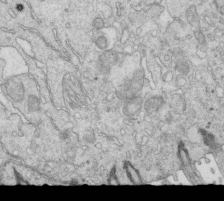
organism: Mouse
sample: Multiciliated cells